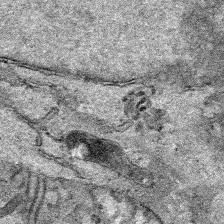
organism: Human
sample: Mitochondria in HCT116 cells